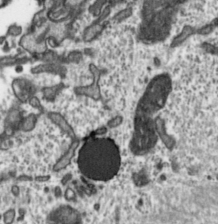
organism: Toxoplasma gondii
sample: Parasites in a vacuole inside a host cell